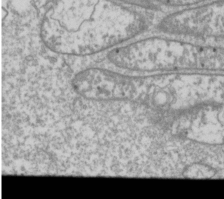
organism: Drosophila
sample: Cell division; meiosis; drosophila spermatocytes